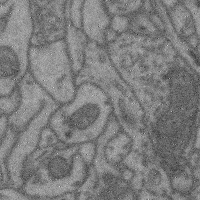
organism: Mouse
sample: Cerebral cortex